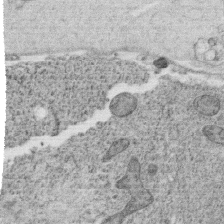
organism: C. elegans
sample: C. elegans oocyte; sperm cells